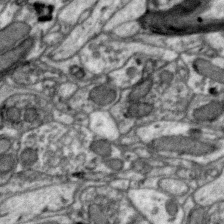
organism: Zebra finch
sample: Brain